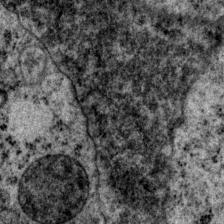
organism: P. pacificus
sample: Pharynx